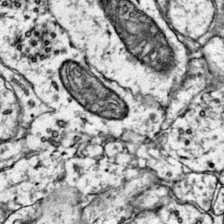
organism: Mouse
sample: Primary visual cortex